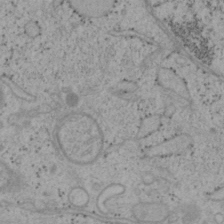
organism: Human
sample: HeLa cells